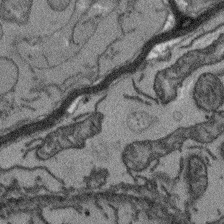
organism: Arabidopsis thaliana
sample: Root tip